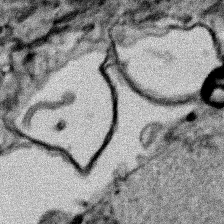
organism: Human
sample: Mitochondria in HCT116 cells